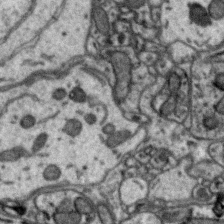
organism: Zebra finch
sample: Brain